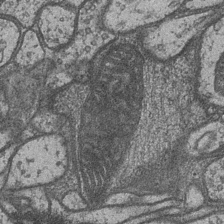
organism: Drosophila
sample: Optic medulla